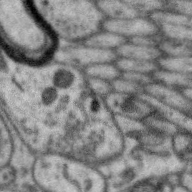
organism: Zebra finch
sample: Brain